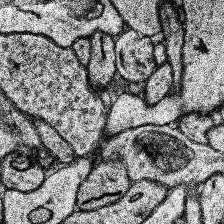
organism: Human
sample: Temporal Lobe